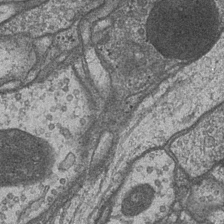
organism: Drosophila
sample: Optic medulla